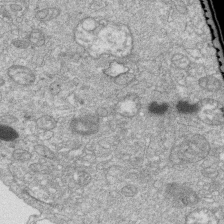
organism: Human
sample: HeLa cell HIV synapse